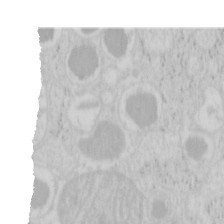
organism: Mouse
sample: Pancreas